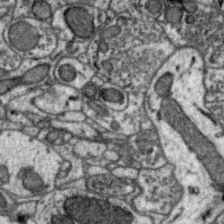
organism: Zebra finch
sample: Brain